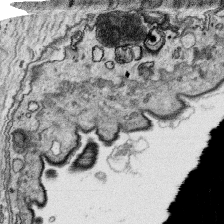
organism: Platynereis dumerilii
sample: Parapodia